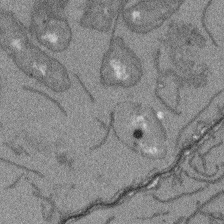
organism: Arabidopsis thaliana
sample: Root tip